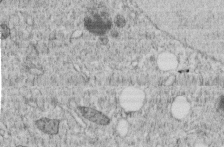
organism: C. elegans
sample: C. elegans embryo early stage